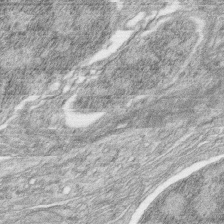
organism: Zebrafish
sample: synaptic ribbons in rod cells and cone cells